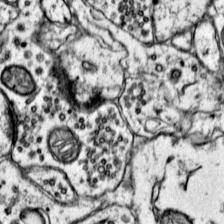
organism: Mouse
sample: Primary visual cortex